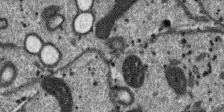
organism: Human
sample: Lung epithelial cells infected with SARS-CoV-2